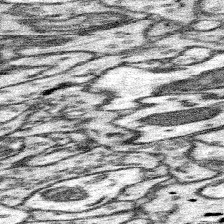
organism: Mouse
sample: Somatosensory cortex neuropil